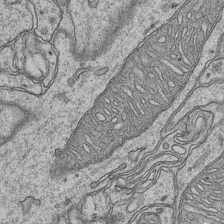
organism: Mouse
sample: CA1 Hippocampus